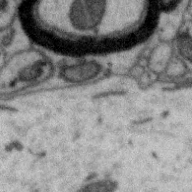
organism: Zebra finch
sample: Brain